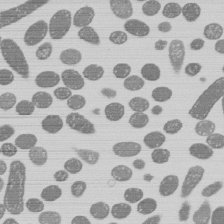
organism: E. coli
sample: Bacterial nucleoid